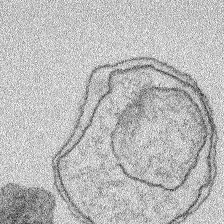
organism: Human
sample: HeLa cells